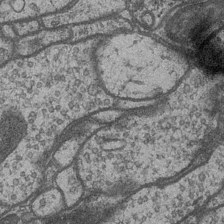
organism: Drosophila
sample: Optic medulla